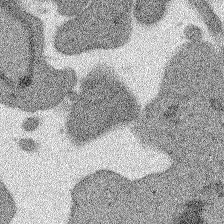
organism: Human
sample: HeLa cells